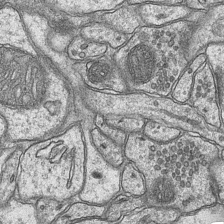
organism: Mouse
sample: CA1 Hippocampus